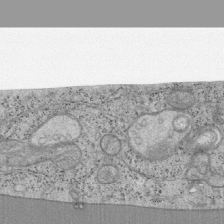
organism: Human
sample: HeLa cells